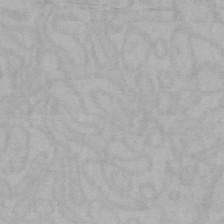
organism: Mouse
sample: Choroid plexus